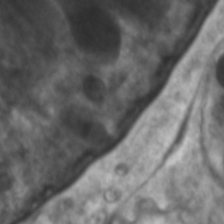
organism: C. elegans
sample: Pharynx